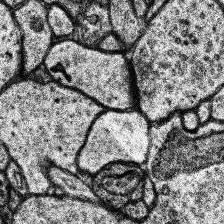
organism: Human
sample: Temporal Lobe